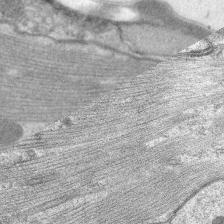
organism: C. elegans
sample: Pharynx